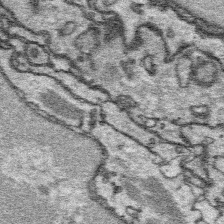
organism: Platynereis dumerilii